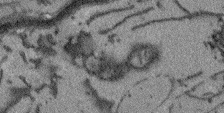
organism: Arabidopsis thaliana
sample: Root tip